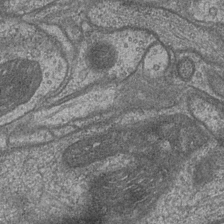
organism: Drosophila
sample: Optic medulla